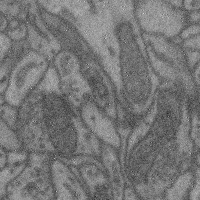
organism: Mouse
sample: Cerebral cortex